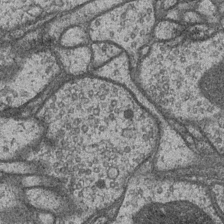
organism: Drosophila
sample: Optic medulla